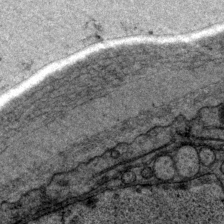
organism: P. pacificus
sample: Pharynx